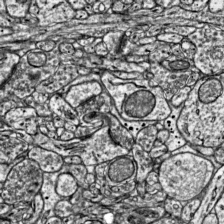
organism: Mouse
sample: Visual Cortex